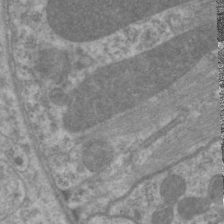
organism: C. elegans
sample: Pharynx